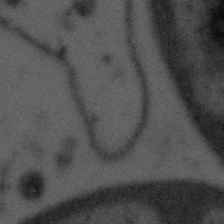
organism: Tuwongella immobilis